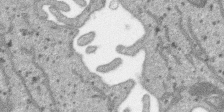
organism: Human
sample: Lung epithelial cells infected with SARS-CoV-2